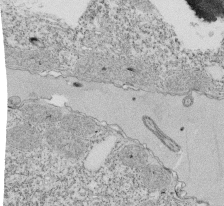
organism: Tetrahymena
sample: Cilia in tetrahymena